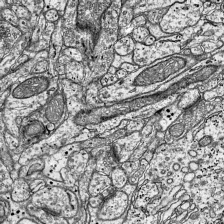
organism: Mouse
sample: Visual Cortex